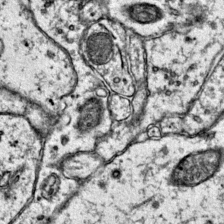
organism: Mouse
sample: Primary visual cortex